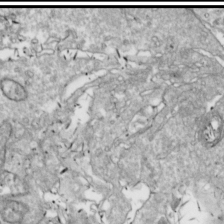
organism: Drosophila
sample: Cell division; meiosis; drosophila spermatocytes